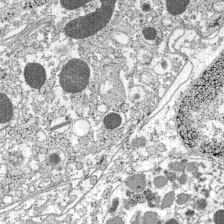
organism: C57BL Mouse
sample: Pancreatic islet